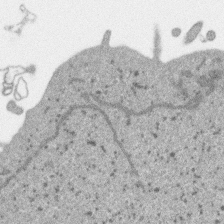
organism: Human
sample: Lung epithelial cells infected with SARS-CoV-2